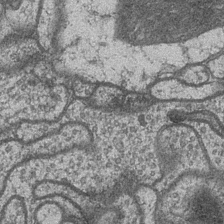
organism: Drosophila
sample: Optic medulla